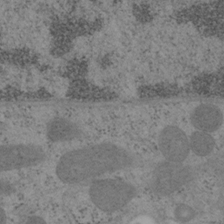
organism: Mouse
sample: OT-I killer T cells with ID8 ovarian cancer cells